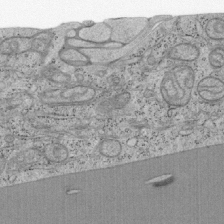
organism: Human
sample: HeLa cells